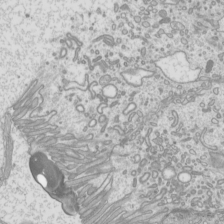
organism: Mouse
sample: Cilia; mouse epididymis